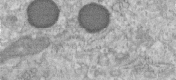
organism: Human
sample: Centriole in fibroblast cells